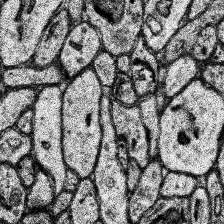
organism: Human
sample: Temporal Lobe